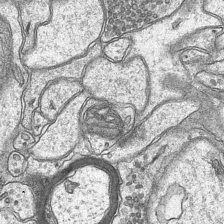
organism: Mouse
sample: CA1 Hippocampus